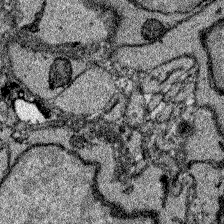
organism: Zebrafish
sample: Larval olfactory bulb